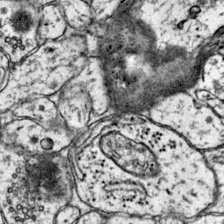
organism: Mouse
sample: Primary visual cortex